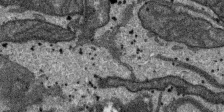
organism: Human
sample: Lung epithelial cells, uninfected (mock) control